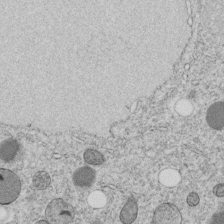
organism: C. elegans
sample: C. elegans embryo early stage